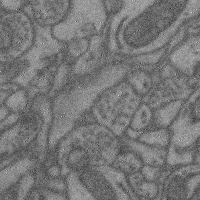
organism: Mouse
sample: Cerebral cortex